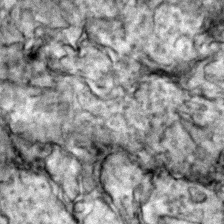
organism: Zebrafish